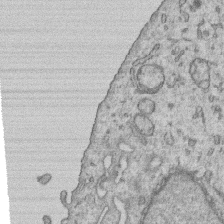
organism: Human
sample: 1205lu cells